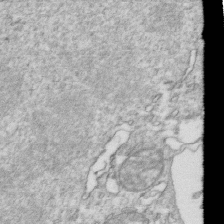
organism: Mouse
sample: Activated OT-1 CD8+ T cells